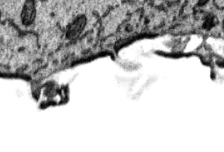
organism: Human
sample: HeLa cells